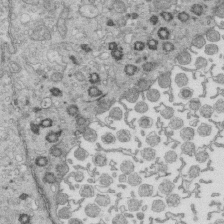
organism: Mouse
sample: Multiciliated cells